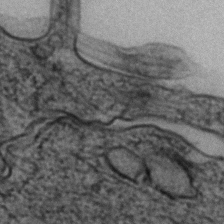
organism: Zebrafish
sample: Zebrafish embryo